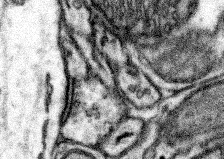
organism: Mouse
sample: Somatosensory cortex neuropil